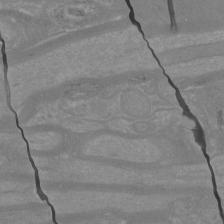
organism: Mouse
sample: Cortical neurons